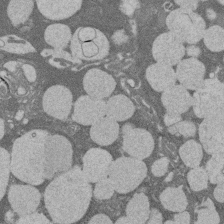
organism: Rat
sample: Salivary granule